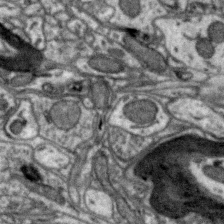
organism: Zebra finch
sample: Brain